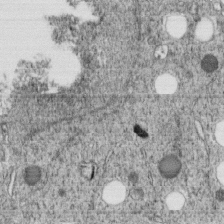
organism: C. elegans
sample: C. elegans embryo early stage